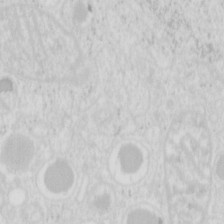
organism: Mouse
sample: Pancreas